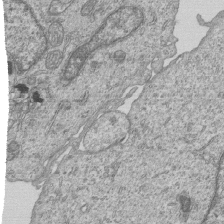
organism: Human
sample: MDA-MB-231 cells